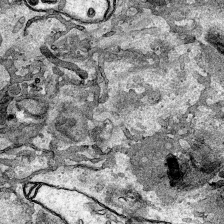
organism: Human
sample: Mitochondria in HCT116 cells